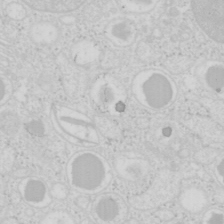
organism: Mouse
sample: Pancreas